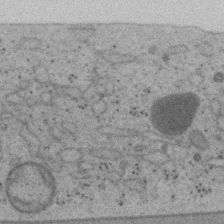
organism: Human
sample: HeLa cells